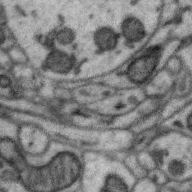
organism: Zebra finch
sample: Brain